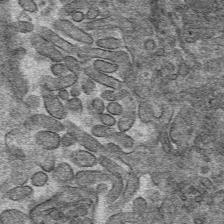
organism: Mouse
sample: Mouse hepatocytes